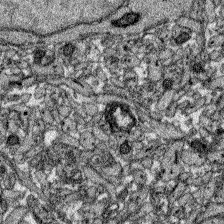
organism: Zebrafish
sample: Larval olfactory bulb